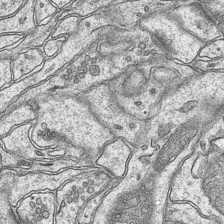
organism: Mouse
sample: CA1 Hippocampus